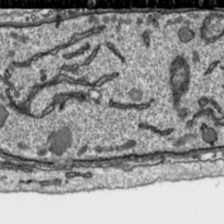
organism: Toxoplasma gondii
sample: Parasites in a vacuole inside a host cell